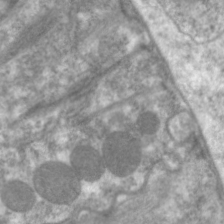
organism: C. elegans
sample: Pharynx